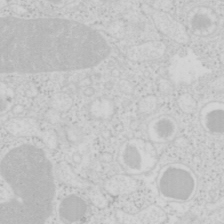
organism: Mouse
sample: Pancreas